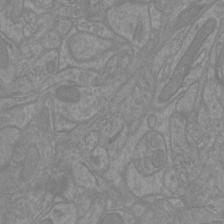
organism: Mouse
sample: Cortical neurons